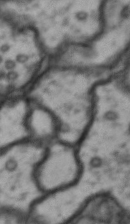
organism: Drosophila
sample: Brain